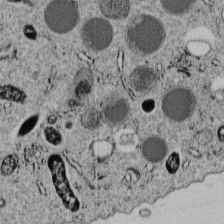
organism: C. elegans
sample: C. elegans embryo early stage